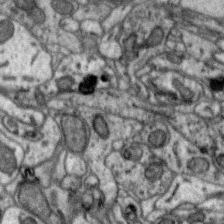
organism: Zebra finch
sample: Brain